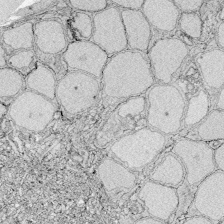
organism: Zebrafish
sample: Whole-Brain